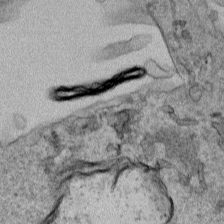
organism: Human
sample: Mitochondria in HCT116 cells